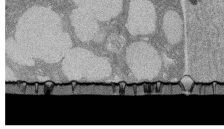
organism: Rat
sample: Salivary granule